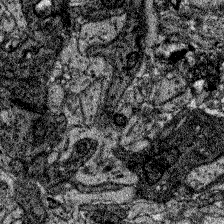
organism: Zebrafish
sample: Larval olfactory bulb